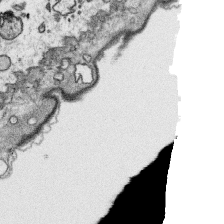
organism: Platynereis dumerilii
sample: Parapodia